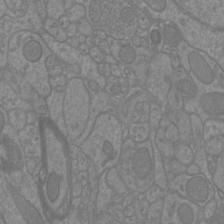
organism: Mouse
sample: Cortical neurons